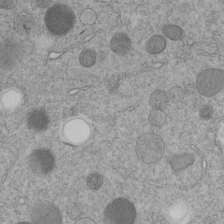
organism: C. elegans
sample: C. elegans embryo early stage